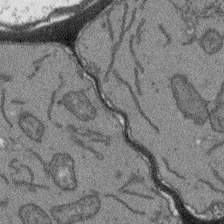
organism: Arabidopsis thaliana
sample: Root tip